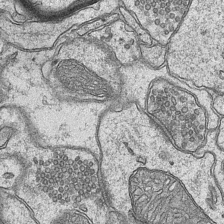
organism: Mouse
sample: CA1 Hippocampus